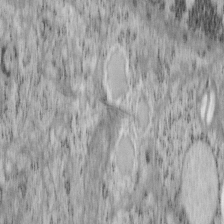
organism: Human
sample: HeLa cells